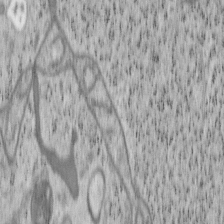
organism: Human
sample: HeLa cells